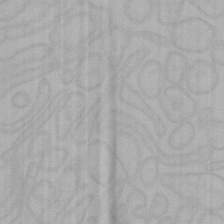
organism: Mouse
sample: Choroid plexus